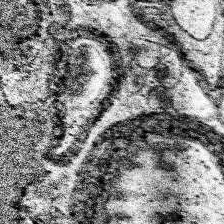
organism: Human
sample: Temporal Lobe